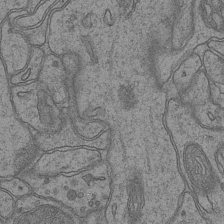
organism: Mouse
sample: CA1 Hippocampus